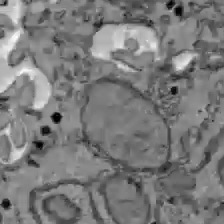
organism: C57BL Mouse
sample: Liver